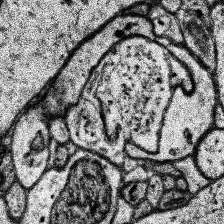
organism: Human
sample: Temporal Lobe